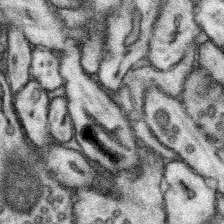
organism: Mouse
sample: Somatosensory cortex neuropil